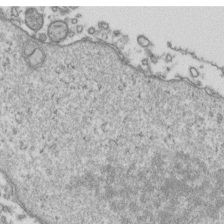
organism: Human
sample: Activated Jurkat CD4+ T cells